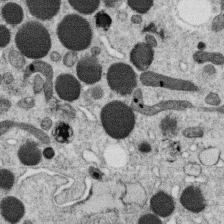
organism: C. elegans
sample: C. elegans oocyte; sperm cells